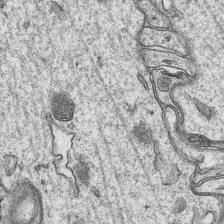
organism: Mouse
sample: CA1 Hippocampus